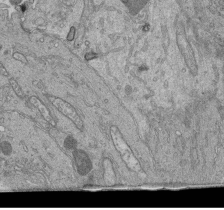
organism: Human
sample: Retinal organoid Rod and Cone cells